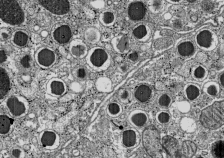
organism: C57BL Mouse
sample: Pancreatic islet